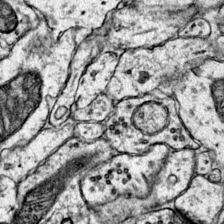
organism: Mouse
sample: Primary visual cortex